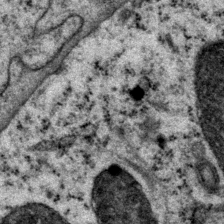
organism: P. pacificus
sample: Pharynx